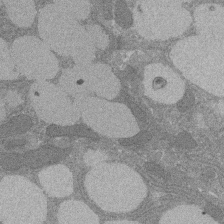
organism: Rat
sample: Salivary granule